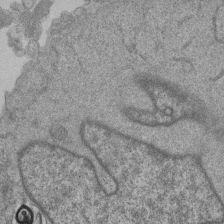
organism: Human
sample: MDA-MB-231 cells